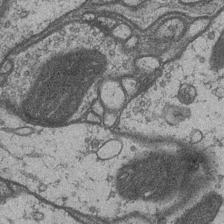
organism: Drosophila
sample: Optic medulla